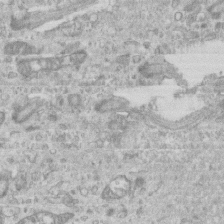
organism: Mouse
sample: Centriole in ependymal cells